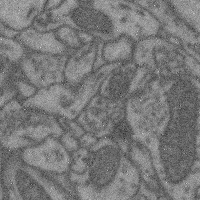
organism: Mouse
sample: Cerebral cortex